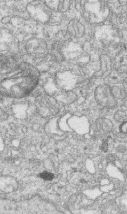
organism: Human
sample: HeLa cell HIV synapse